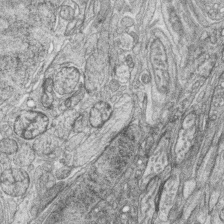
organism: Zebrafish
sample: synaptic ribbons in rod cells and cone cells